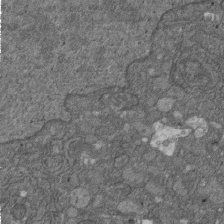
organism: Drosophila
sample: Nephrocyte